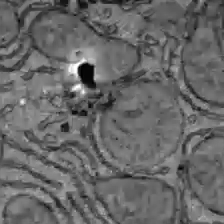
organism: C57BL Mouse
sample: Liver